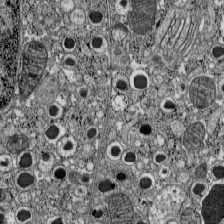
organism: C57BL Mouse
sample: Pancreatic islet